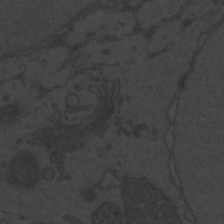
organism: Zebrafish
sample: Macrophage infected with Toxoplasma gondii